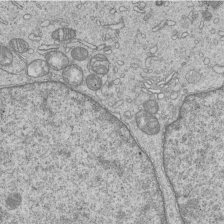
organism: Human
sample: MDA-MB-231 cells